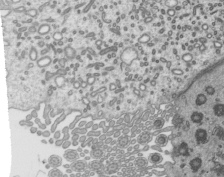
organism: Mouse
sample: Mouse epididymis efferent ductule cilia